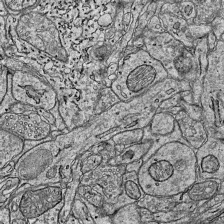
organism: Mouse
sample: Visual Cortex